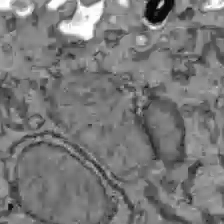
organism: C57BL Mouse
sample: Liver